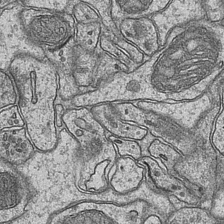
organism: Mouse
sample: CA1 Hippocampus